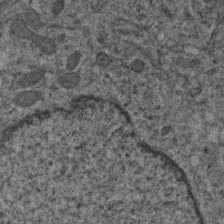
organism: Human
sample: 1205lu cells